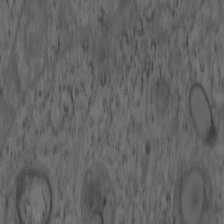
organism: Human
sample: HeLa cells